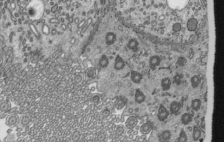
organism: Mouse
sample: Mouse epididymis efferent ductule cilia